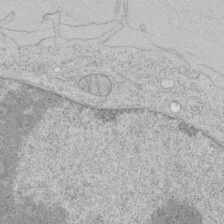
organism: Human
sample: Mitochondria in HCT116 cells